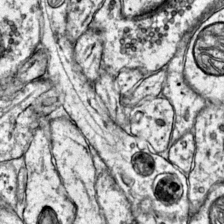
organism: Mouse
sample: Primary visual cortex